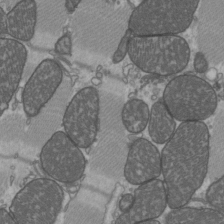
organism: C57BL Mouse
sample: Heart